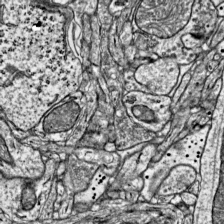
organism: Mouse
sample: Visual Cortex